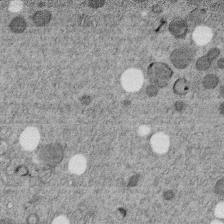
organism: C. elegans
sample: C. elegans embryo early stage